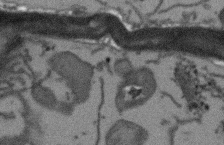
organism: Arabidopsis thaliana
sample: Root tip